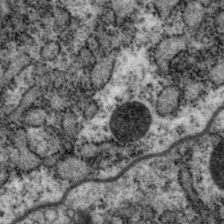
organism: P. pacificus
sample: Pharynx